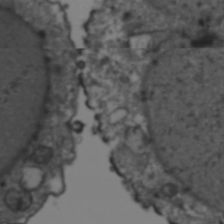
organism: Human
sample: HIV-1 Gag-iGFP